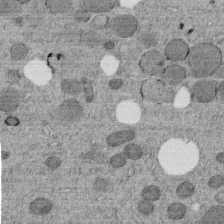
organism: C. elegans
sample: C. elegans embryo early stage